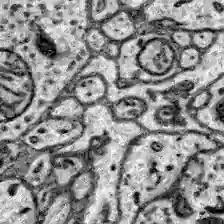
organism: Zebrafish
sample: Brain